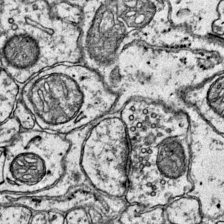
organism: Mouse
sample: Primary visual cortex